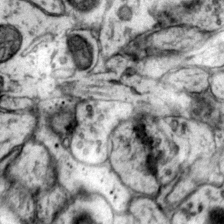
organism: Mouse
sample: Primary visual cortex